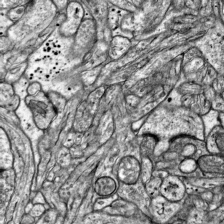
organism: Mouse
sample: Visual Cortex